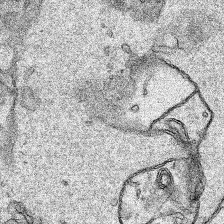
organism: Human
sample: Mitochondria in HCT116 cells